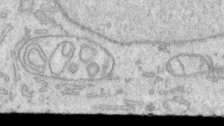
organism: Human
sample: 1205lu cells